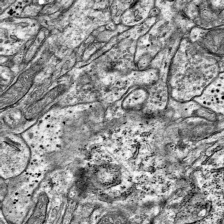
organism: Mouse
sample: Visual Cortex